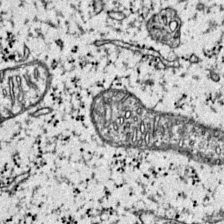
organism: Mouse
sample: Primary visual cortex